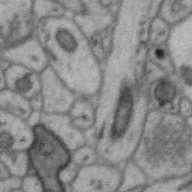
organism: Zebra finch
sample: Brain